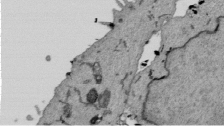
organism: Mouse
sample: ED-1 cell nuclei; centrioles